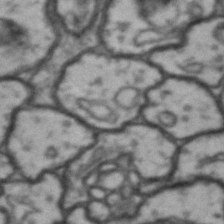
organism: Drosophila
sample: Brain